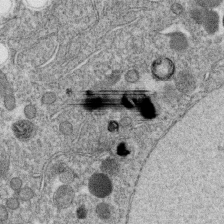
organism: C. elegans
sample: C. elegans oocyte; sperm cells